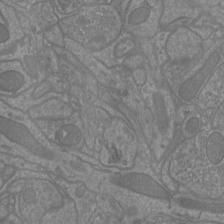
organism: Mouse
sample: Cortical neurons